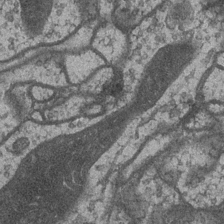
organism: Drosophila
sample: Optic medulla